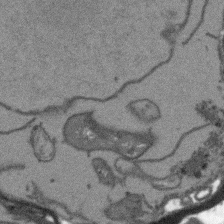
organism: Arabidopsis thaliana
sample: Root tip